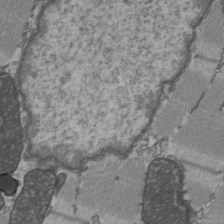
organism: C57BL Mouse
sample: Heart